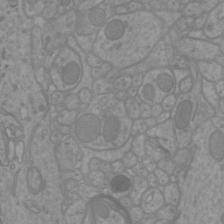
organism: Mouse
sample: Cortical neurons